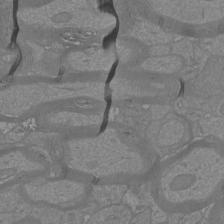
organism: Mouse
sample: Cortical neurons